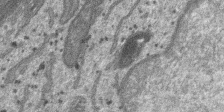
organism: Human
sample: Lung epithelial cells infected with SARS-CoV-2